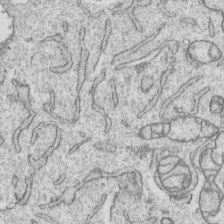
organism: Human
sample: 1205lu cells